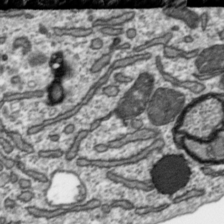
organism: Toxoplasma gondii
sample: Parasites in a vacuole inside a host cell